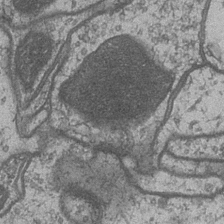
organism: Drosophila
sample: Optic medulla